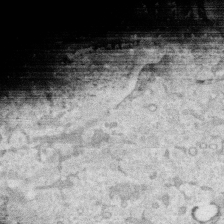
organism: Human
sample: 1205lu cells